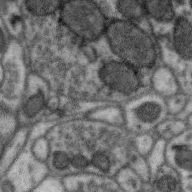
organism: Zebra finch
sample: Brain